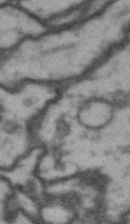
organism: Drosophila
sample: Brain